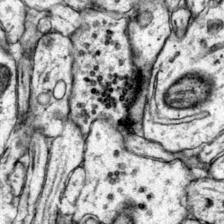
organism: Mouse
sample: Primary visual cortex